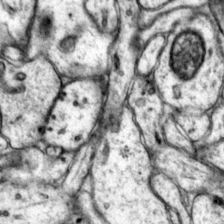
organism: Mouse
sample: Primary visual cortex